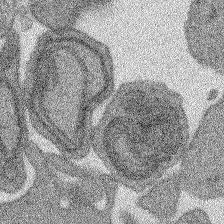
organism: Human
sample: HeLa cells